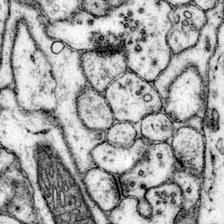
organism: Mouse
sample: Primary visual cortex